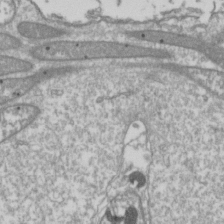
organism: Drosophila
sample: Cell division; meiosis; drosophila spermatocytes